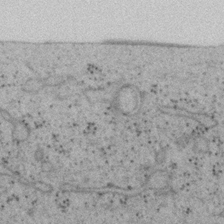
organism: Human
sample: HeLa cells